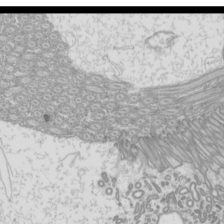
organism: Mouse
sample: Cilia; mouse epididymis